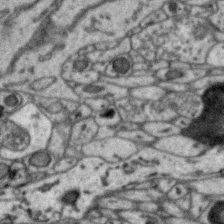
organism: Zebra finch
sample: Brain